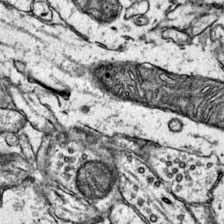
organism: Mouse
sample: Primary visual cortex